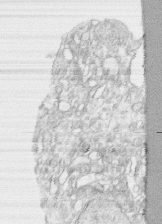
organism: Human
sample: CRL-1474